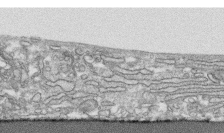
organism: Human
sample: CRL-1474